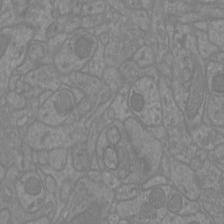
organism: Mouse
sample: Cortical neurons